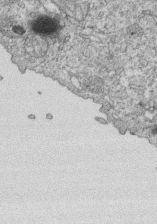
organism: Human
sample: HeLa cell HIV synapse